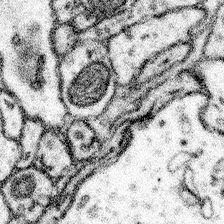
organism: Mouse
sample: Somatosensory cortex neuropil